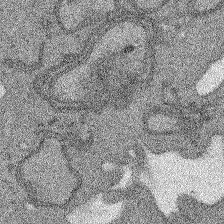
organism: Human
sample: HeLa cells